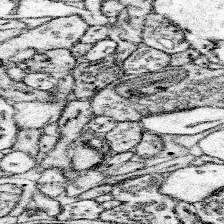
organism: Mouse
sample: Somatosensory cortex neuropil